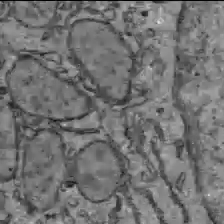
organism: C57BL Mouse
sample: Liver